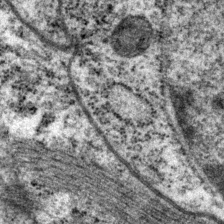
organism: P. pacificus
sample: Pharynx